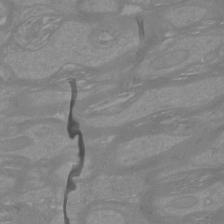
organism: Mouse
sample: Cortical neurons